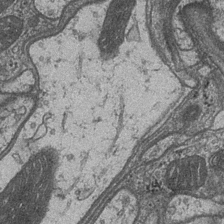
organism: Drosophila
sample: Optic medulla